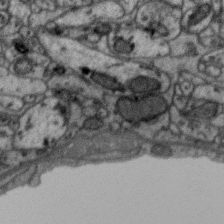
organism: Zebra finch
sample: Brain